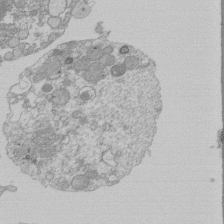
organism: Mouse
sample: Activated Pmel transgenic CD8+ T Cells